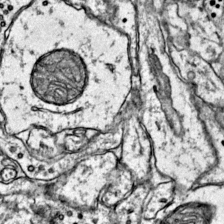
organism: Mouse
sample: Primary visual cortex